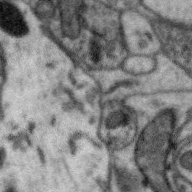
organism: Zebra finch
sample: Brain